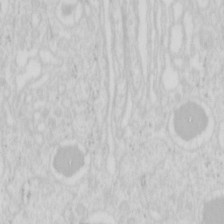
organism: Mouse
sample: Pancreas